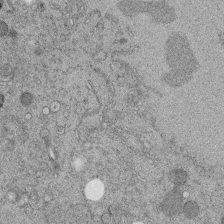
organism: C. elegans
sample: C. elegans embryo early stage